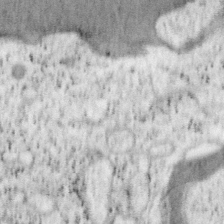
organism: Mouse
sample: OT-I killer T cells with ID8 ovarian cancer cells